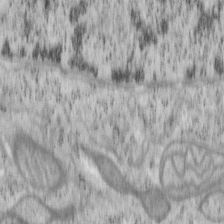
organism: Human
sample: HeLa cells